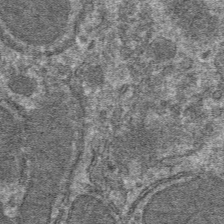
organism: Mouse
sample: Mouse hepatocytes